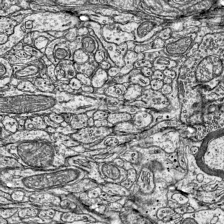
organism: Mouse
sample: Visual Cortex